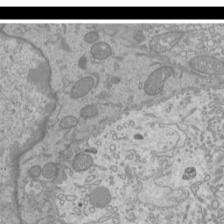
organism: Mouse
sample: Cilia; mouse epididymis